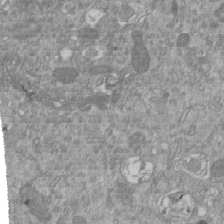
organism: Mouse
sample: ED-1 cell nuclei; centrioles